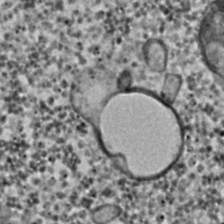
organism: C. elegans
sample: C. elegans embryo